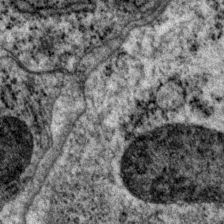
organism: P. pacificus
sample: Pharynx